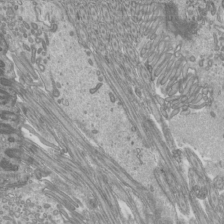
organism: Mouse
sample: Cilia; mouse epididymis